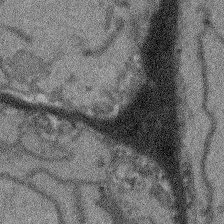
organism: Arabidopsis thaliana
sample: Root tip